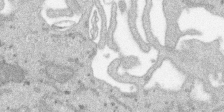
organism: Human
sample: Lung epithelial cells infected with SARS-CoV-2